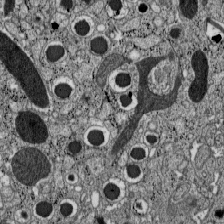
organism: C57BL Mouse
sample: Pancreatic islet